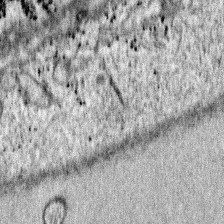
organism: Human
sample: HeLa cells